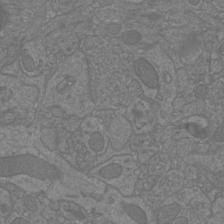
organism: Mouse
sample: Cortical neurons